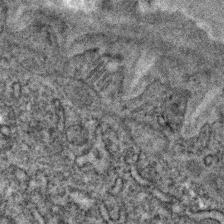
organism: C. elegans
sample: C. elegans embryo